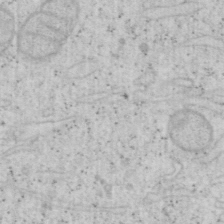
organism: Human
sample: HeLa cells